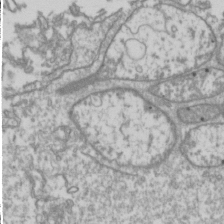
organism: Drosophila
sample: Cell division; meiosis; drosophila spermatocytes